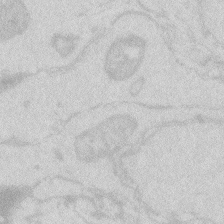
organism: Zebrafish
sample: Macrophage